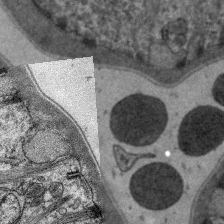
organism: C. elegans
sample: Pharynx